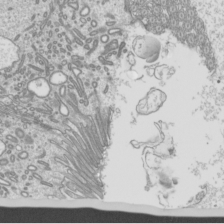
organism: Mouse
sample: Cilia; mouse epididymis